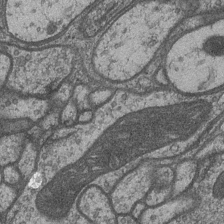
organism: Drosophila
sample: Optic medulla